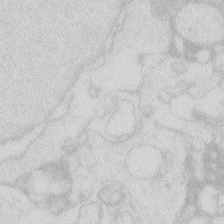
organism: Zebrafish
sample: Macrophage